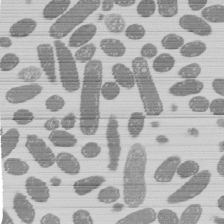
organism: E. coli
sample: Bacterial nucleoid